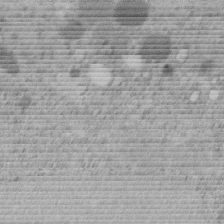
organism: C. elegans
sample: C. elegans embryo early stage